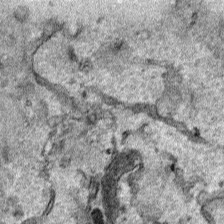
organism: Human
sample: Mitochondria in HCT116 cells